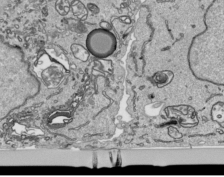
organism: Human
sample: Mitochondria in HCT116 cells